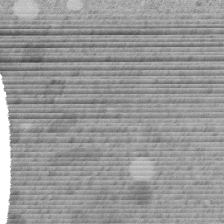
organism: C. elegans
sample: C. elegans embryo early stage